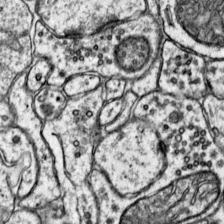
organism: Mouse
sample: Primary visual cortex